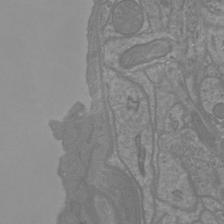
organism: Mouse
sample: Cortical neurons